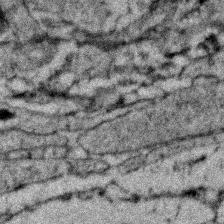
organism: Zebrafish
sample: Zebrafish embryo